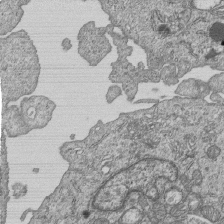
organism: Human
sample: MDA-MB-231 cells